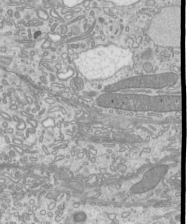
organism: Mouse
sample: Cilia; mouse epididymis